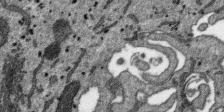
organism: Human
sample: Lung epithelial cells, uninfected (mock) control